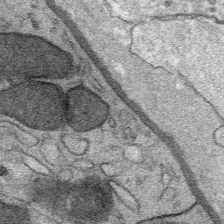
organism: Mouse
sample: Mouse Salivary gland